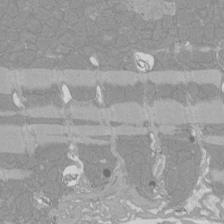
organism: Rat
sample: Left ventricle